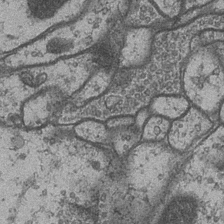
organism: Drosophila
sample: Optic medulla